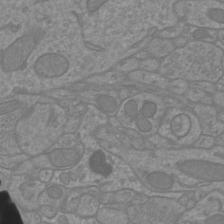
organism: Mouse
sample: Cortical neurons